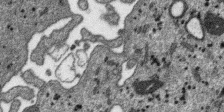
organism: Human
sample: Lung epithelial cells infected with SARS-CoV-2